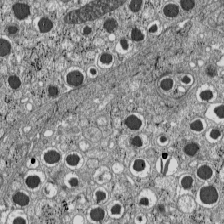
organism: C57BL Mouse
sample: Pancreatic islet